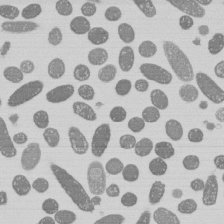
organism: E. coli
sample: Bacterial nucleoid